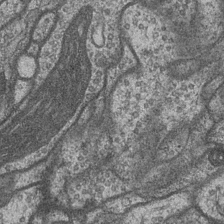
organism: Drosophila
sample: Optic medulla